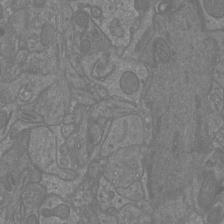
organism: Mouse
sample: Cortical neurons